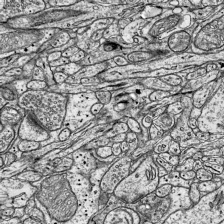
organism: Mouse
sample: Visual Cortex